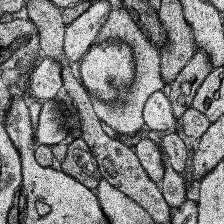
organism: Human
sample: Temporal Lobe